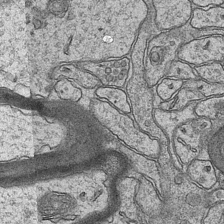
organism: Mouse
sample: CA1 Hippocampus